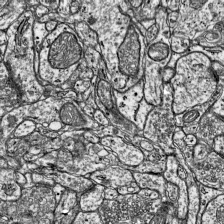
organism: Mouse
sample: Visual Cortex